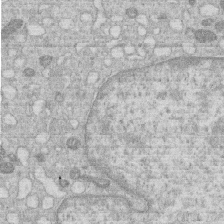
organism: Human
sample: Macrophage cells